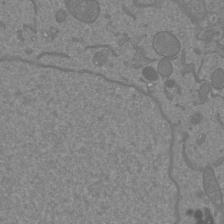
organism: Mouse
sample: Cortical neurons